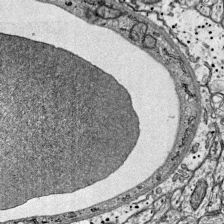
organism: Mouse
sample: Visual Cortex